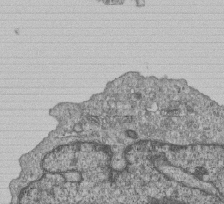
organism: Human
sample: MDA-MB-231 cells